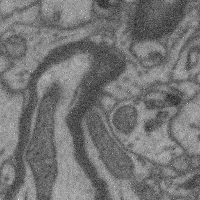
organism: Mouse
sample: Cerebral cortex